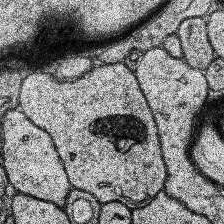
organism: Human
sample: Temporal Lobe